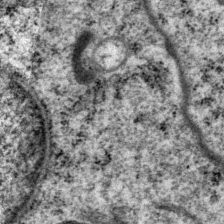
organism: P. pacificus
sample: Pharynx